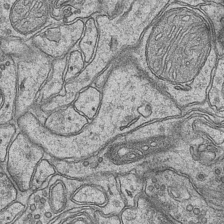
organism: Mouse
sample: CA1 Hippocampus